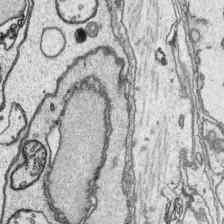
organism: Platynereis dumerilii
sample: Parapodia